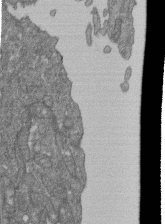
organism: Human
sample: Retinal organoid Rod and Cone cells